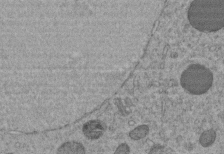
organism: C. elegans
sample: C. elegans embryo early stage